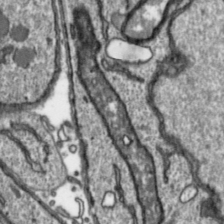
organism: Toxoplasma gondii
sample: Parasites in a vacuole inside a host cell